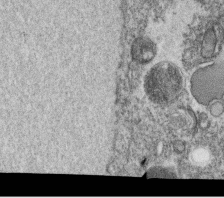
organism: C. elegans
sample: C. elegans oocyte; sperm cells